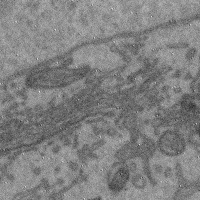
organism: Mouse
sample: Cerebral cortex